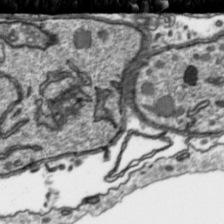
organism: Toxoplasma gondii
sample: Parasites in a vacuole inside a host cell